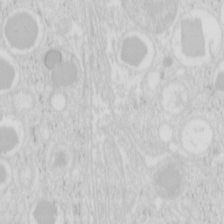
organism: Mouse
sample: Pancreas